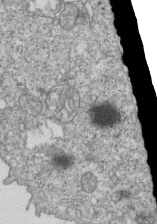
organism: Human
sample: HeLa cell HIV synapse